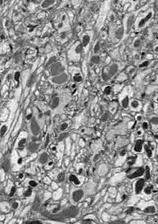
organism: Drosophila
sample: Optic lobe